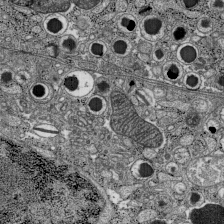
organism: C57BL Mouse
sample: Pancreatic islet